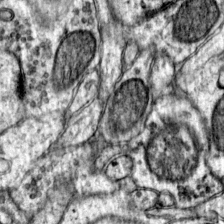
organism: Mouse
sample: Primary visual cortex